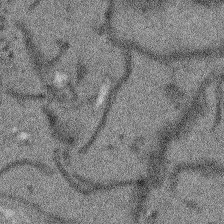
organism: Arabidopsis thaliana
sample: Root tip